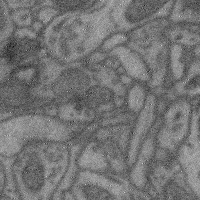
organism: Mouse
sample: Cerebral cortex